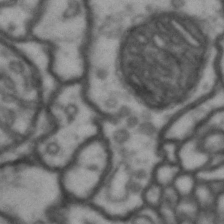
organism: Drosophila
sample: Brain